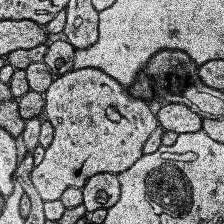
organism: Human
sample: Temporal Lobe